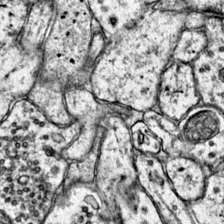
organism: Mouse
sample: Primary visual cortex